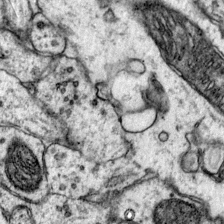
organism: Mouse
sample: Primary visual cortex